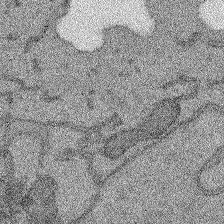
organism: Human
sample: HeLa cells